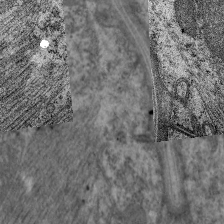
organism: C. elegans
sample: Pharynx